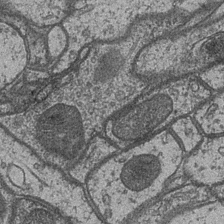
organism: Drosophila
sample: Optic medulla